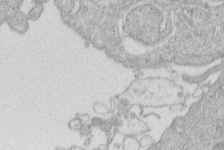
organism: Human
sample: Macrophage cells